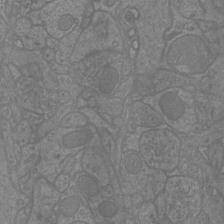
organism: Mouse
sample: Cortical neurons